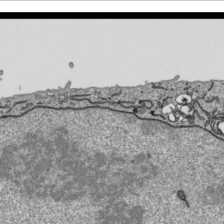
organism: Human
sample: Mitochondria in HCT116 cells